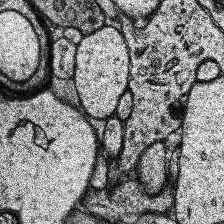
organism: Human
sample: Temporal Lobe